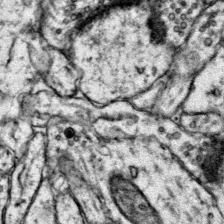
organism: Mouse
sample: Primary visual cortex